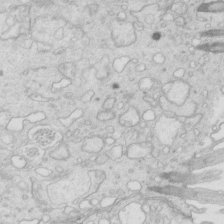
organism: Mouse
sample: Multiciliated cells